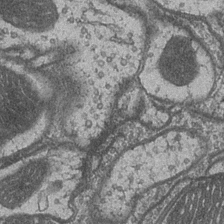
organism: Drosophila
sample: Optic medulla